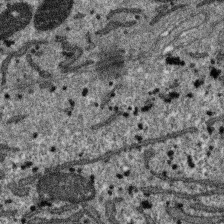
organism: Human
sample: Lung epithelial cells infected with SARS-CoV-2